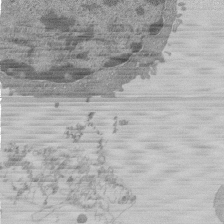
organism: Mouse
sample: Activated Pmel transgenic CD8+ T Cells